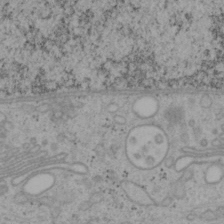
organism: Human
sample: HeLa cells